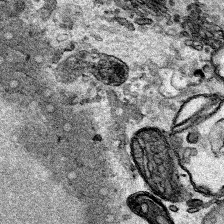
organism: Human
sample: Mitochondria in HCT116 cells